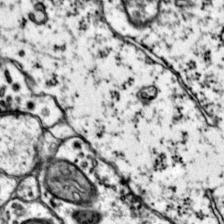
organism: Mouse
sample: Primary visual cortex